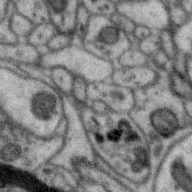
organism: Zebra finch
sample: Brain